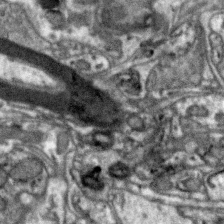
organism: Zebra finch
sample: Brain